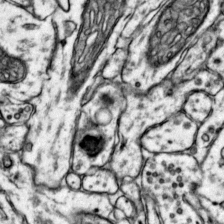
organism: Mouse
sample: Primary visual cortex